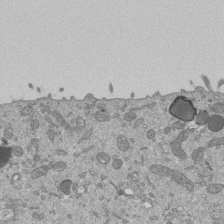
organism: Mouse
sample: ED-1 cell nuclei; centrioles